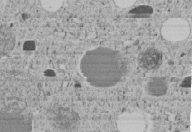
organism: C. elegans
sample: C. elegans embryo early stage